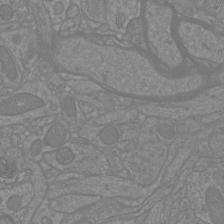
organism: Mouse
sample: Cortical neurons